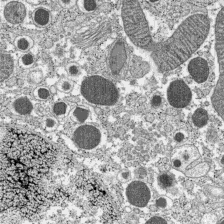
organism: C57BL Mouse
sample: Pancreatic islet